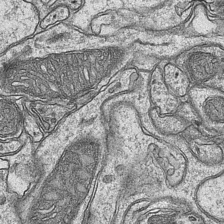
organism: Mouse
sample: CA1 Hippocampus